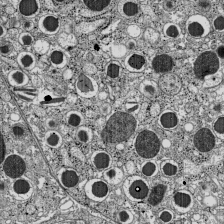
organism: C57BL Mouse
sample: Pancreatic islet